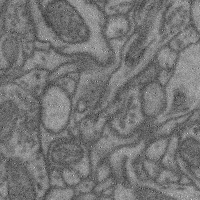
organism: Mouse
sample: Cerebral cortex